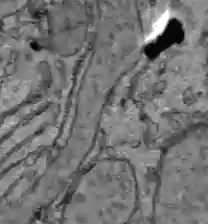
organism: C57BL Mouse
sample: Liver